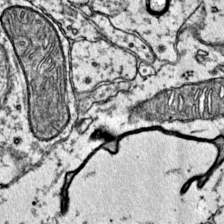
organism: Mouse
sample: Primary visual cortex